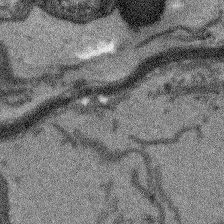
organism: Arabidopsis thaliana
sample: Root tip